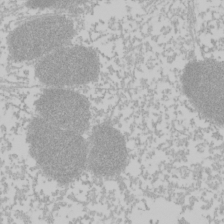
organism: Mouse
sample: Cancer cell death in ED-1 cells